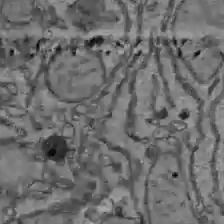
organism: C57BL Mouse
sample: Liver